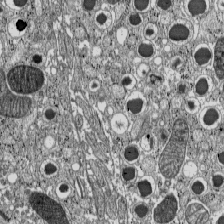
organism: C57BL Mouse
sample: Pancreatic islet